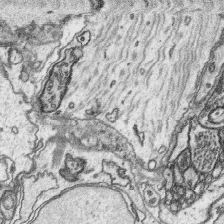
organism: Platynereis dumerilii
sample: Parapodia